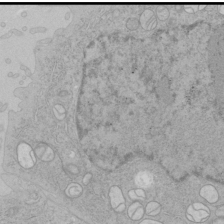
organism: Human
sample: Mitochondria in HCT116 cells